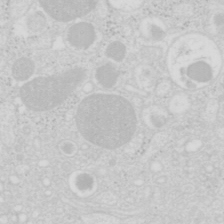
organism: Mouse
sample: Pancreas